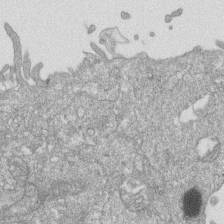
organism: Human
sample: HeLa cell HIV synapse